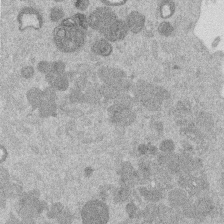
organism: Mouse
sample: Dividing mouse embryo 1 cell stage